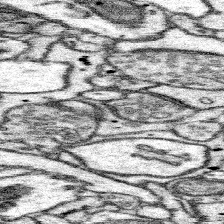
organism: Mouse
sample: Somatosensory cortex neuropil